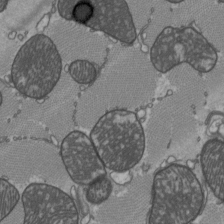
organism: C57BL Mouse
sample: Heart